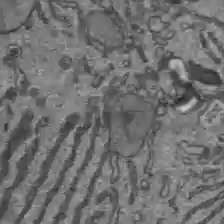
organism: C57BL Mouse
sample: Liver